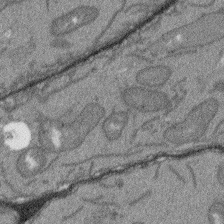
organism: Arabidopsis thaliana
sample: Root tip